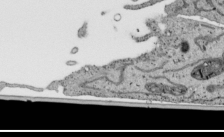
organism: Human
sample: Mitochondria in HCT116 cells